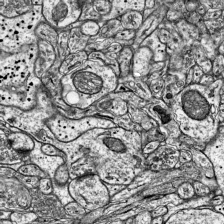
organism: Mouse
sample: Visual Cortex